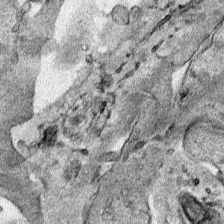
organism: Human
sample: Mitochondria in HCT116 cells